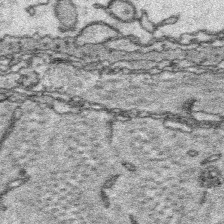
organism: Platynereis dumerilii